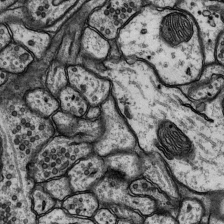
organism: Rat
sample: Hippocampus